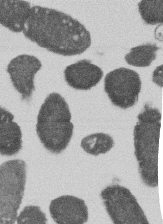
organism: E. coli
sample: Bacterial nucleoid